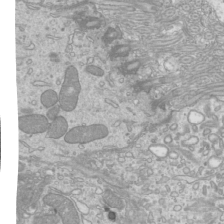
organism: Mouse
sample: Cilia; mouse epididymis